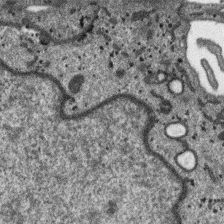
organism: Human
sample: Lung epithelial cells infected with SARS-CoV-2